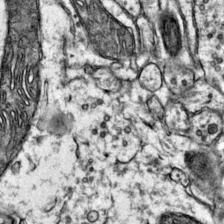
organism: Mouse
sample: Primary visual cortex